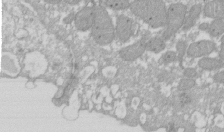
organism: Xenopus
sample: Cilia; centrioles in frog embryo cells